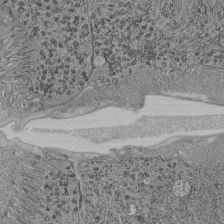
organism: C. elegans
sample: C. elegans pharynx